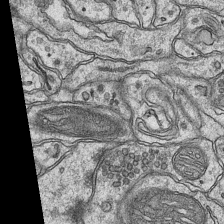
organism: Mouse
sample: CA1 Hippocampus